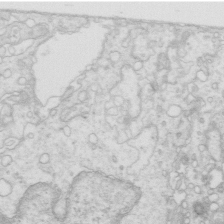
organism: Mouse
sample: Multiciliated cells